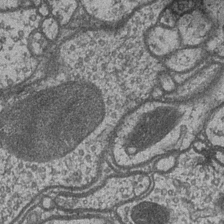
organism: Drosophila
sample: Optic medulla